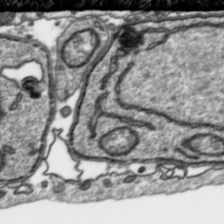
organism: Toxoplasma gondii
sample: Parasites in a vacuole inside a host cell